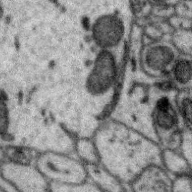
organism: Zebra finch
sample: Brain